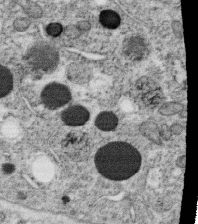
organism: C. elegans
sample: C. elegans oocyte; sperm cells